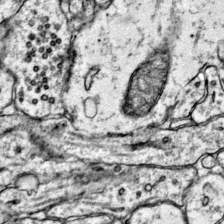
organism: Mouse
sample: Primary visual cortex